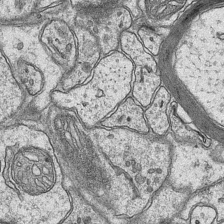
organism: Mouse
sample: CA1 Hippocampus